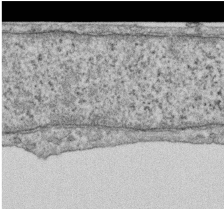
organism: Human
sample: Centriole in RPE cells